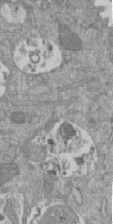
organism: Mouse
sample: ED-1 cell nuclei; centrioles